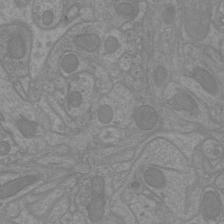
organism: Mouse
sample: Cortical neurons